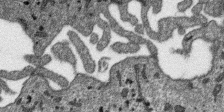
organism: Human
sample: Lung epithelial cells infected with SARS-CoV-2